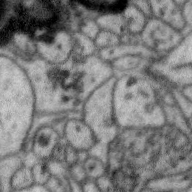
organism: Zebra finch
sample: Brain